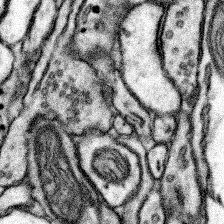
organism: Mouse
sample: Somatosensory cortex neuropil